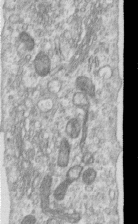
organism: Human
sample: Centriole in RPE cells